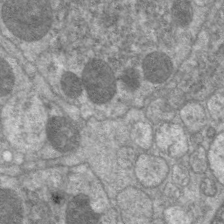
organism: C. elegans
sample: Pharynx